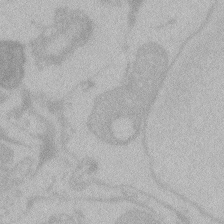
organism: Zebrafish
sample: Macrophage infected with Toxoplasma gondii